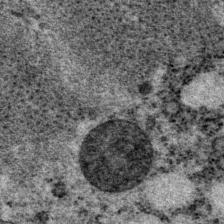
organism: P. pacificus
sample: Pharynx